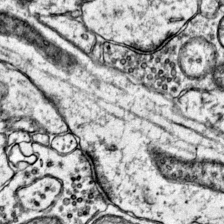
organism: Mouse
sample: Primary visual cortex